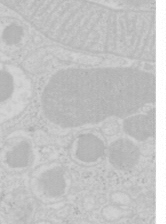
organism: Mouse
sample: Pancreas